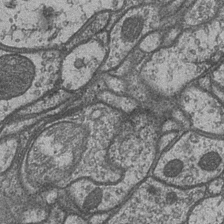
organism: Drosophila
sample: Optic medulla